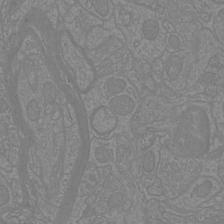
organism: Mouse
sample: Cortical neurons